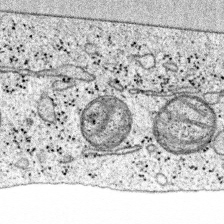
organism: Human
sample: HeLa cells